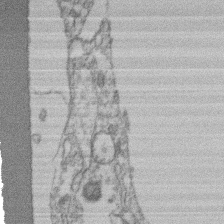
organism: Mouse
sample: T cell stromal cell synapse